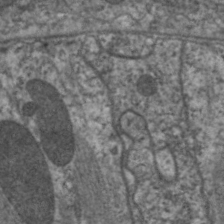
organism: C. elegans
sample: Pharynx